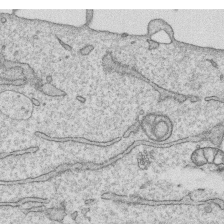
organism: Human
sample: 1205lu cells